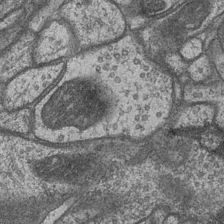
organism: Drosophila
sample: Optic medulla